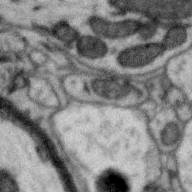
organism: Zebra finch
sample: Brain